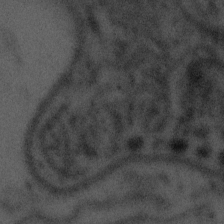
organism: Tuwongella immobilis